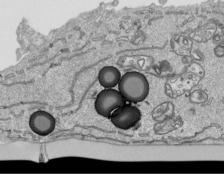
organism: Human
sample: Mitochondria in HCT116 cells